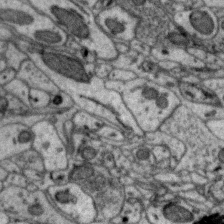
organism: Zebra finch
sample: Brain